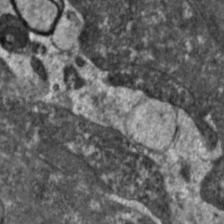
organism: Zebrafish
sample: Zebrafish embryo